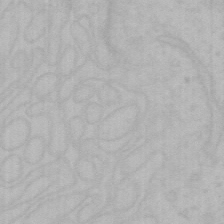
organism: Mouse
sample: Choroid plexus